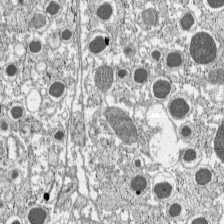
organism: C57BL Mouse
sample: Pancreatic islet